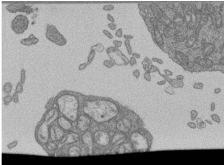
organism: Human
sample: Retinal organoid Rod and Cone cells